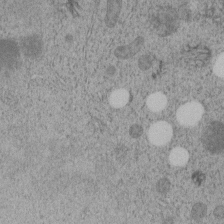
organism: C. elegans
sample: C. elegans embryo early stage